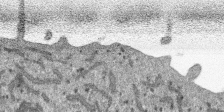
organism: Human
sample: Lung epithelial cells infected with SARS-CoV-2